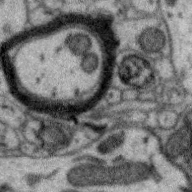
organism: Zebra finch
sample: Brain